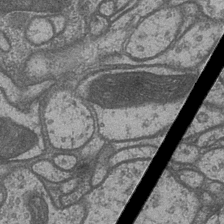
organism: Drosophila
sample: Optic medulla